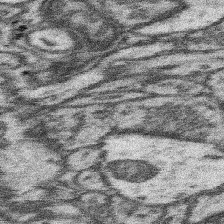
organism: Mouse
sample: Somatosensory cortex neuropil